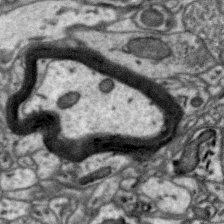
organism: Zebra finch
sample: Brain